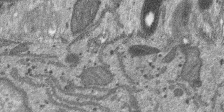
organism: Human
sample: Lung epithelial cells infected with SARS-CoV-2